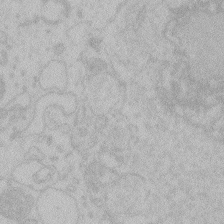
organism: Zebrafish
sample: Macrophage infected with Toxoplasma gondii